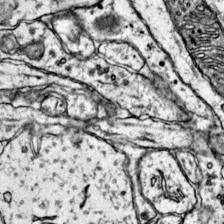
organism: Mouse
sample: Primary visual cortex